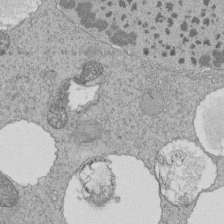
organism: Tetrahymena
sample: Cilia in tetrahymena